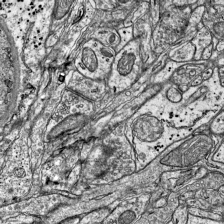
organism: Mouse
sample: Visual Cortex